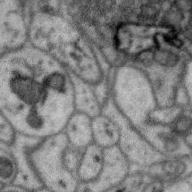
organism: Zebra finch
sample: Brain